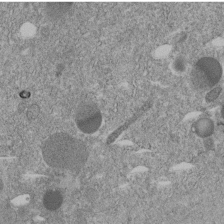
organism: C. elegans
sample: C. elegans embryo early stage